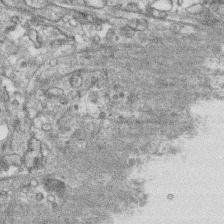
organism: Human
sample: CRL-1474